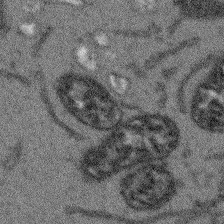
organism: Arabidopsis thaliana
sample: Root tip